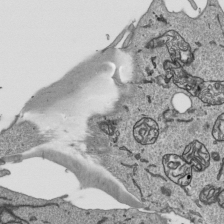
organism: Human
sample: Mitochondria in HCT116 cells